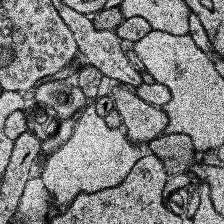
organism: Human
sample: Temporal Lobe